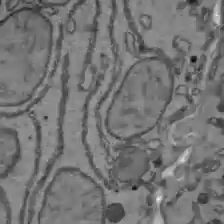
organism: C57BL Mouse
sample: Liver